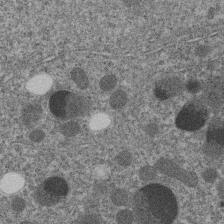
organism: C. elegans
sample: C. elegans embryo early stage